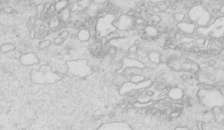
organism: Mouse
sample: Multiciliated cells